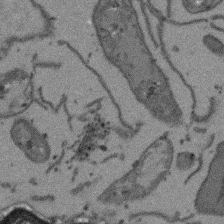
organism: Arabidopsis thaliana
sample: Root tip